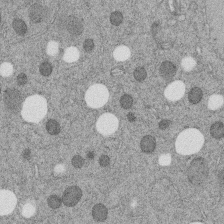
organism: C. elegans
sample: C. elegans embryo early stage